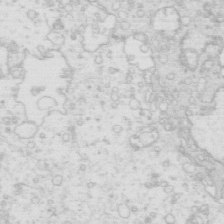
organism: Mouse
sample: Multiciliated cells